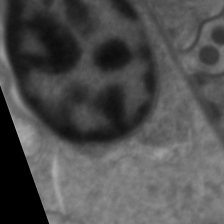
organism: C. elegans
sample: Pharynx